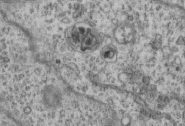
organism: Mouse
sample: Centriole in ependymal cells